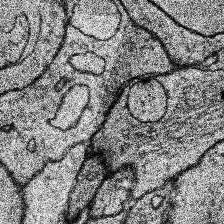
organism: Human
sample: Temporal Lobe